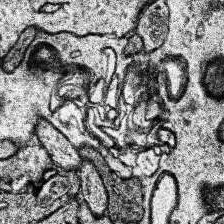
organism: Human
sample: Temporal Lobe